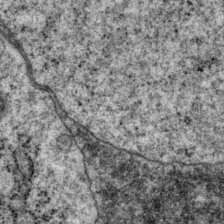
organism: P. pacificus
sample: Pharynx